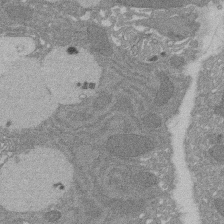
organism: Rat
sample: Salivary granule